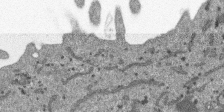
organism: Human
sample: Lung epithelial cells infected with SARS-CoV-2